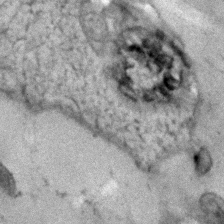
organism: Human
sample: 1205lu cells